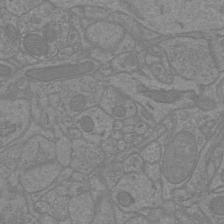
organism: Mouse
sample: Cortical neurons